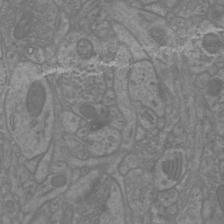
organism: Mouse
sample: Cortical neurons